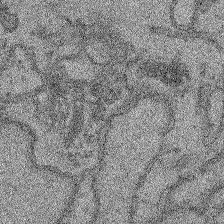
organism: Human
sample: HeLa cells